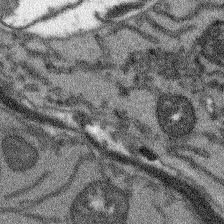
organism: Arabidopsis thaliana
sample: Root tip